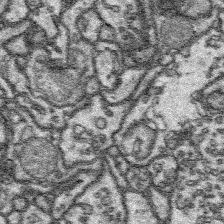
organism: Platynereis dumerilii